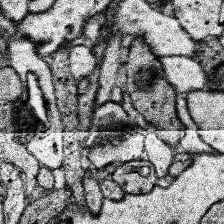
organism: Human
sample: Temporal Lobe